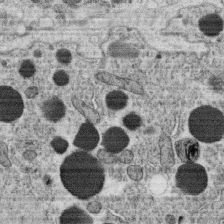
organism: C. elegans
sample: C. elegans oocyte; sperm cells